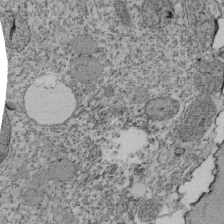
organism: Tetrahymena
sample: Cilia in tetrahymena